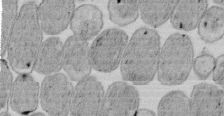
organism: E. coli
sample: Bacterial nucleoid